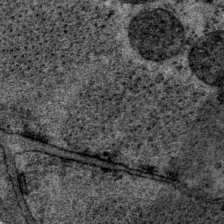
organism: P. pacificus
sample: Pharynx